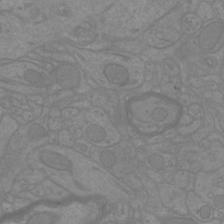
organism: Mouse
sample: Cortical neurons